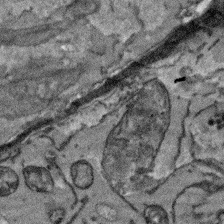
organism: Arabidopsis thaliana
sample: Root tip